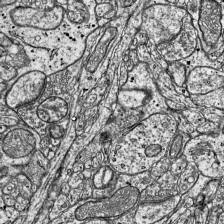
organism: Mouse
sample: Visual Cortex